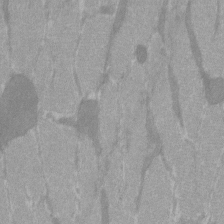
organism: C57BL Mouse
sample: Tibialis anterior muscle cell